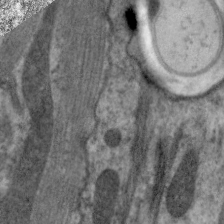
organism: C. elegans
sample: Pharynx